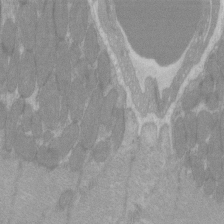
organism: C57BL Mouse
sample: Tibialis anterior muscle cell